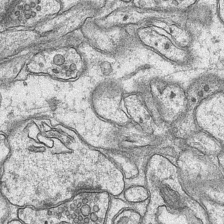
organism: Mouse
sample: CA1 Hippocampus